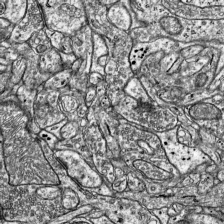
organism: Mouse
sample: Visual Cortex